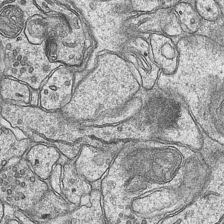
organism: Mouse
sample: CA1 Hippocampus